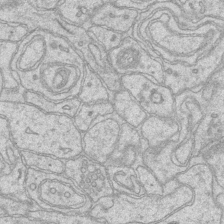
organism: Mouse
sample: CA1 Hippocampus